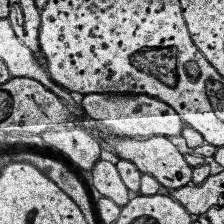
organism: Human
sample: Temporal Lobe